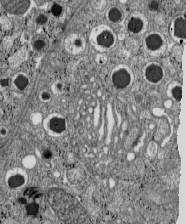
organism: C57BL Mouse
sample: Pancreatic islet